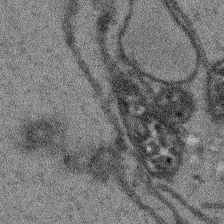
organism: Arabidopsis thaliana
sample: Root tip